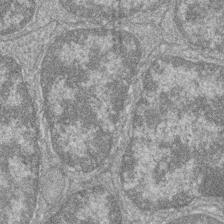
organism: Zebrafish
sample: Cilia; retinal pigment epithelium